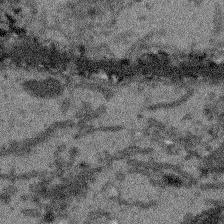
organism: Arabidopsis thaliana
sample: Root tip